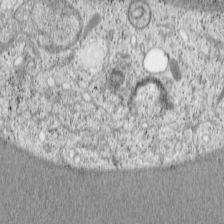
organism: African green monkey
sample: COS-7 cells